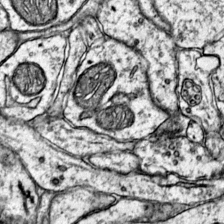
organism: Mouse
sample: Primary visual cortex